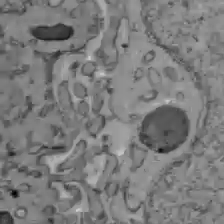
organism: C57BL Mouse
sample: Liver